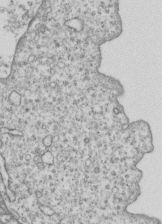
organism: Human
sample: MDA-MB-231 cells